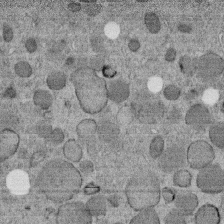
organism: C. elegans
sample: C. elegans embryo early stage